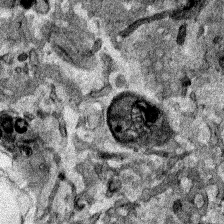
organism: Human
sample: Mitochondria in HCT116 cells